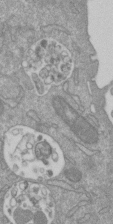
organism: Mouse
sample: ED-1 cell nuclei; centrioles